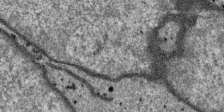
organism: Human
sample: Lung epithelial cells, uninfected (mock) control